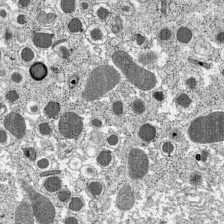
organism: C57BL Mouse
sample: Pancreatic islet